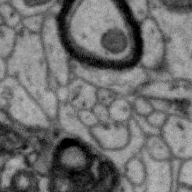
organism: Zebra finch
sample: Brain